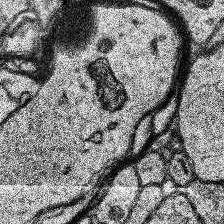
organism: Human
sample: Temporal Lobe